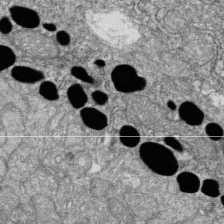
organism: Zebrafish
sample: Cilia; retinal pigment epithelium